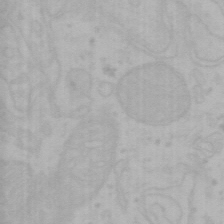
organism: Mouse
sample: Choroid plexus